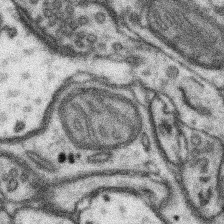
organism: Mouse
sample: Somatosensory cortex neuropil